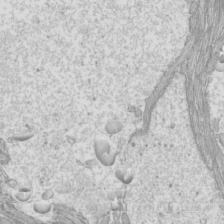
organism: Mouse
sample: Cilia; mouse epididymis